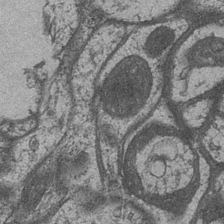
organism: Drosophila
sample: Optic medulla